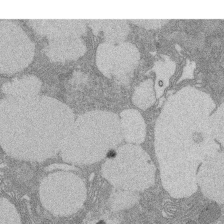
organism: Rat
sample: Salivary granule